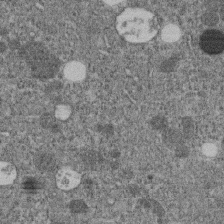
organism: C. elegans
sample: C. elegans embryo early stage